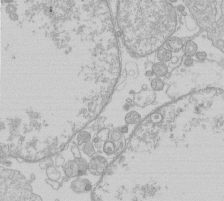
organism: Human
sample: Macrophage cells